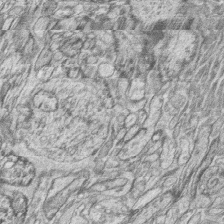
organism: Zebrafish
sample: synaptic ribbons in rod cells and cone cells